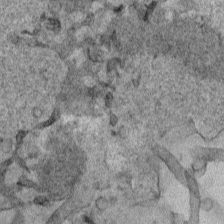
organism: Human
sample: Mitochondria in HCT116 cells